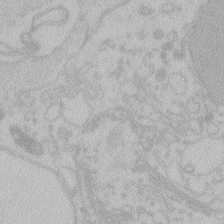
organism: Zebrafish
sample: Macrophage infected with Toxoplasma gondii